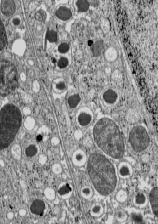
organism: C57BL Mouse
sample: Pancreatic islet